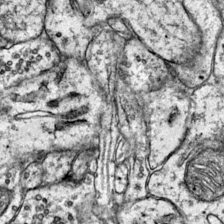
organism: Mouse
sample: Primary visual cortex